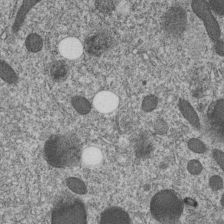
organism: C. elegans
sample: C. elegans embryo early stage